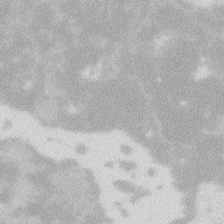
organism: Zebrafish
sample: Macrophage